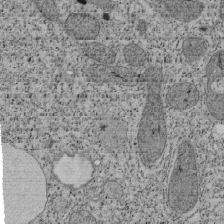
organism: Tetrahymena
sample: Cilia in tetrahymena